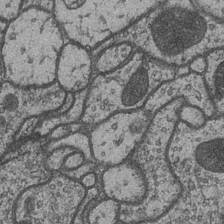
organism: Drosophila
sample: Optic medulla